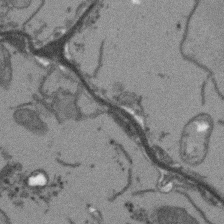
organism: Arabidopsis thaliana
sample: Root tip